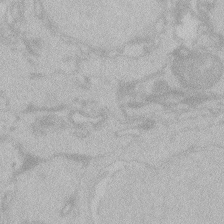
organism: Zebrafish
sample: Macrophage infected with Toxoplasma gondii